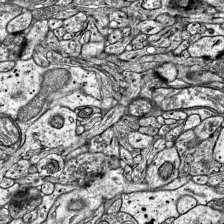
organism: Mouse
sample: Visual Cortex